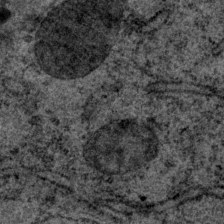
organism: P. pacificus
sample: Pharynx